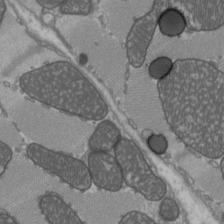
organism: C57BL Mouse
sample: Heart